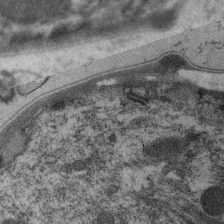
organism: C. elegans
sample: Pharynx